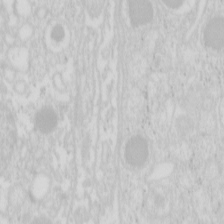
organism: Mouse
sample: Pancreas